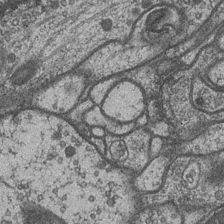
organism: Drosophila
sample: Optic medulla